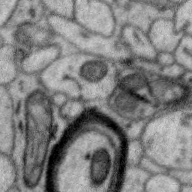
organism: Zebra finch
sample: Brain